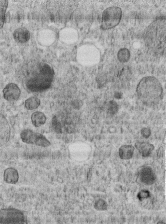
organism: C. elegans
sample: C. elegans embryo early stage